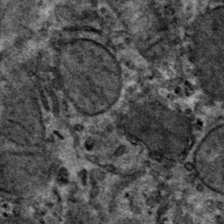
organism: Mouse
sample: Mouse hepatocytes